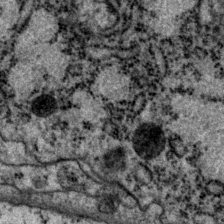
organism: P. pacificus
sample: Pharynx